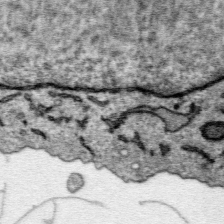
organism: Human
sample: HeLa cells